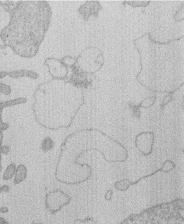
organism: Human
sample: Macrophage cells